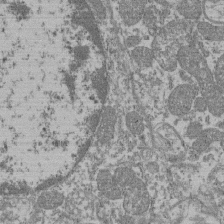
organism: Mouse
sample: Glomerulus